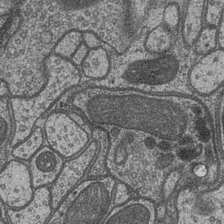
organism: Drosophila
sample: Optic medulla